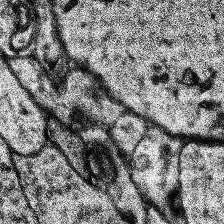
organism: Human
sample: Temporal Lobe